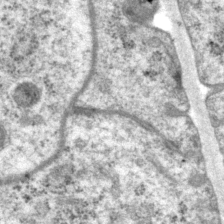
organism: P. pacificus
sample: Pharynx